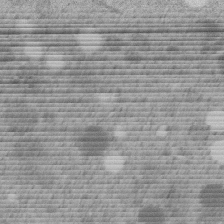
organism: C. elegans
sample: C. elegans embryo early stage